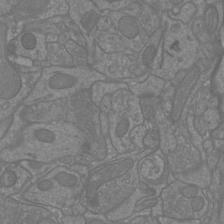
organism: Mouse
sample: Cortical neurons